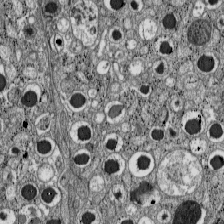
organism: C57BL Mouse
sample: Pancreatic islet